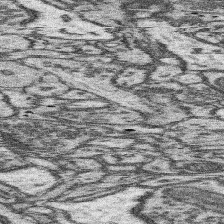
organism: Mouse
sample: Somatosensory cortex neuropil